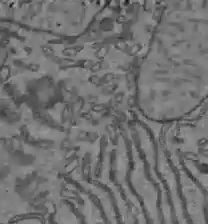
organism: C57BL Mouse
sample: Liver